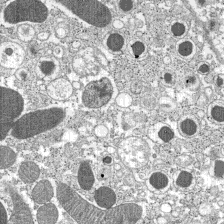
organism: C57BL Mouse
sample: Pancreatic islet